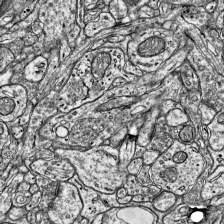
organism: Mouse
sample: Visual Cortex